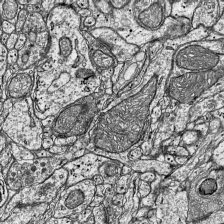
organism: Mouse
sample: Visual Cortex